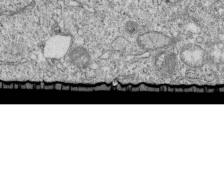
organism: Human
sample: HeLa cell HIV synapse